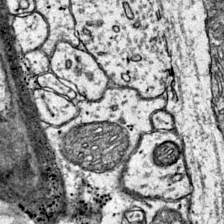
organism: Mouse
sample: Primary visual cortex